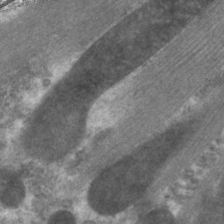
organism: C. elegans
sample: Pharynx